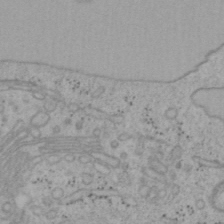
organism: Human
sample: HeLa cells